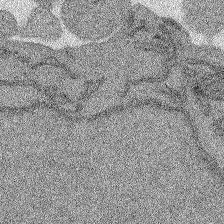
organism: Human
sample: HeLa cells